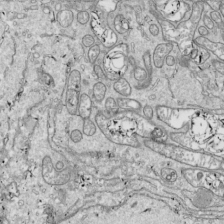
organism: Drosophila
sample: Cell division; meiosis; drosophila spermatocytes